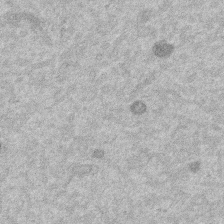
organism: Mouse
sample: Dividing mouse embryo 1 cell stage